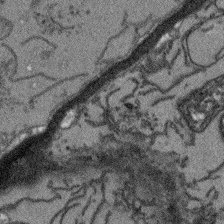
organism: Arabidopsis thaliana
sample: Root tip